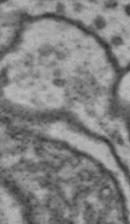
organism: Drosophila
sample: Brain